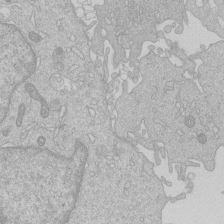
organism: Human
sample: Macrophage cells